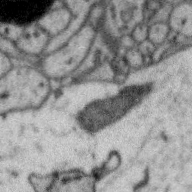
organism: Zebra finch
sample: Brain